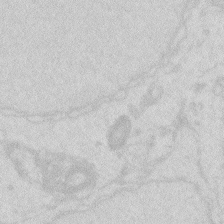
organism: Zebrafish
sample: Macrophage